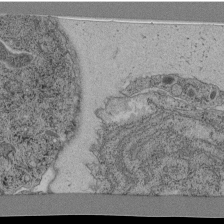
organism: C. elegans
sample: C. elegans pharynx